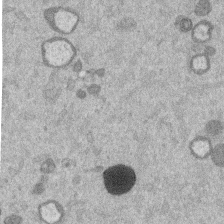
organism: Mouse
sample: Dividing mouse embryo 1 cell stage